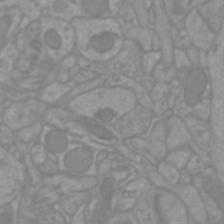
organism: Mouse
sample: Cortical neurons